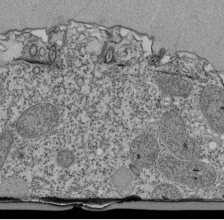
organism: Tetrahymena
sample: Cilia in tetrahymena